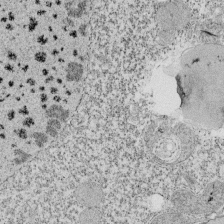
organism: Tetrahymena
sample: Cilia in tetrahymena